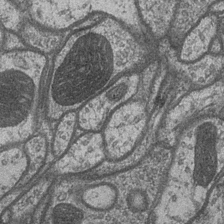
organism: Drosophila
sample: Optic medulla